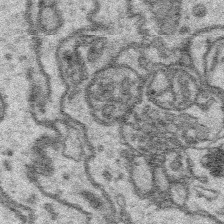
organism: Platynereis dumerilii